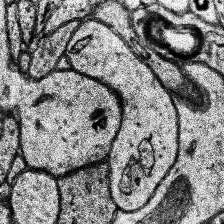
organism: Human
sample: Temporal Lobe